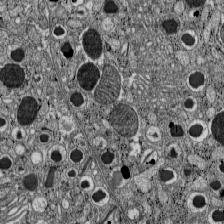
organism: C57BL Mouse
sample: Pancreatic islet